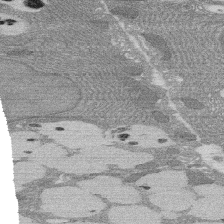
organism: Rat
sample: Salivary granule